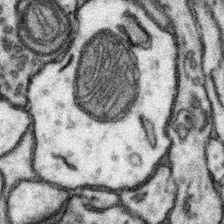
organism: Mouse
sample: Somatosensory cortex neuropil